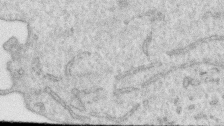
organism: Human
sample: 1205lu cells